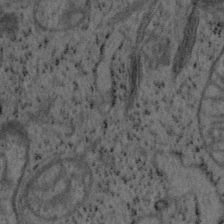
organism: Human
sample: HeLa cells